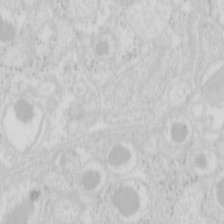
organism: Mouse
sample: Pancreas